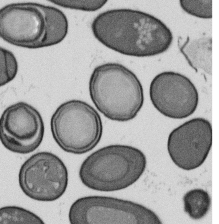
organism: B. subtilis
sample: Bacterial spore